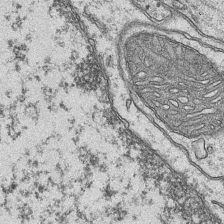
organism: Mouse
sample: CA1 Hippocampus